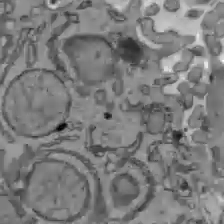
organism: C57BL Mouse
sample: Liver